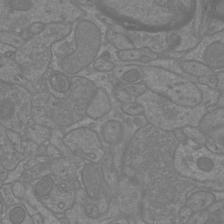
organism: Mouse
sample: Cortical neurons